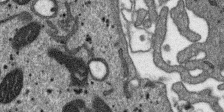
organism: Human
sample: Lung epithelial cells infected with SARS-CoV-2